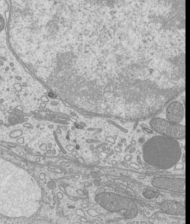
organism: Mouse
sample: Cilia; mouse epididymis